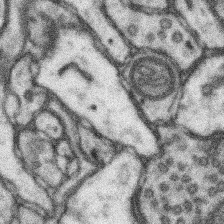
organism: Mouse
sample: Somatosensory cortex neuropil